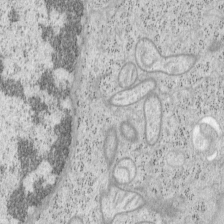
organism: Mouse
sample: OT-I killer T cells with ID8 ovarian cancer cells